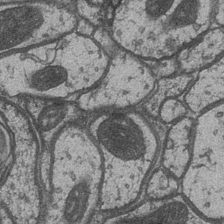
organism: Drosophila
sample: Optic medulla